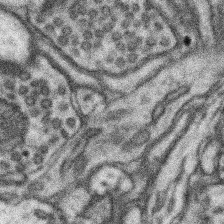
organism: Mouse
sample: Somatosensory cortex neuropil